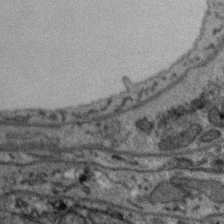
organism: Zebra finch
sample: Brain